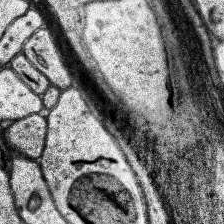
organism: Human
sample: Temporal Lobe